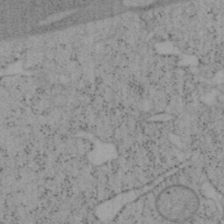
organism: Mouse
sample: OT-I killer T cells with ID8 ovarian cancer cells